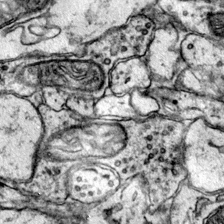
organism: Mouse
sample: Primary visual cortex